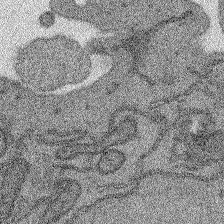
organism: Human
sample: HeLa cells